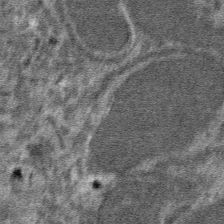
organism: Mouse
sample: Mouse hepatocytes